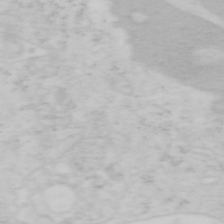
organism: Mouse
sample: OT-I killer T cells with ID8 ovarian cancer cells